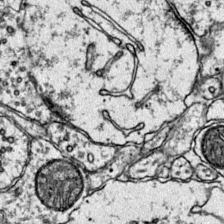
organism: Mouse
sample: Primary visual cortex